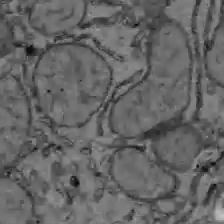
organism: C57BL Mouse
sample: Liver